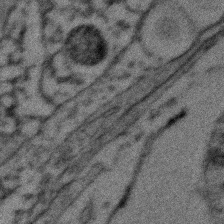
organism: Zebrafish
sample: Zebrafish embryo